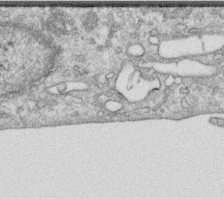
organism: Human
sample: Centriole in RPE cells